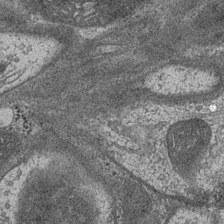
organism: Drosophila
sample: Optic medulla